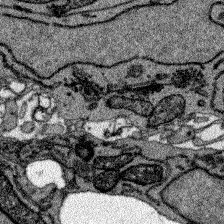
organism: Zebrafish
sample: Larval olfactory bulb